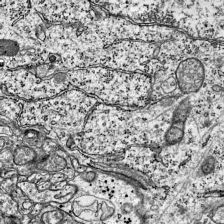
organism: Mouse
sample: Visual Cortex